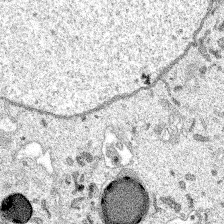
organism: Spongilla lacustris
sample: Multiple